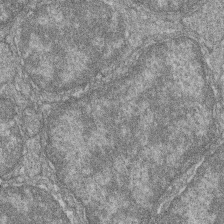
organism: Zebrafish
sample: Cilia; retinal pigment epithelium